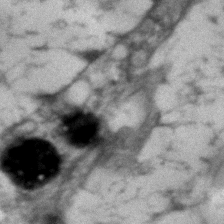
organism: Human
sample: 1205lu cells